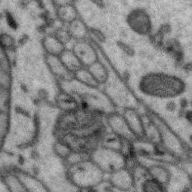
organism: Zebra finch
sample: Brain